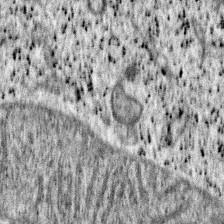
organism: Human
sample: HeLa cells